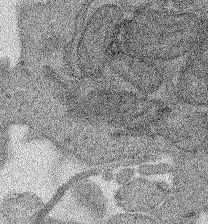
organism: Human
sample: HeLa cells